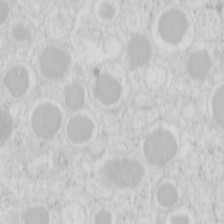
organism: Mouse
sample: Pancreas